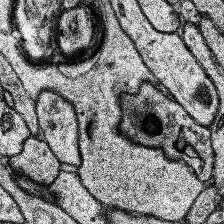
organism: Human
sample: Temporal Lobe